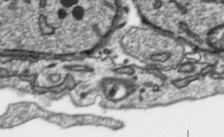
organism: Toxoplasma gondii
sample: Parasites in a vacuole inside a host cell